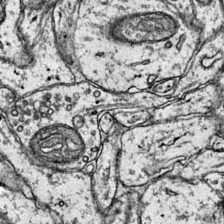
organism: Mouse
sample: Primary visual cortex